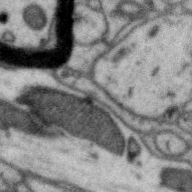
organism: Zebra finch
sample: Brain